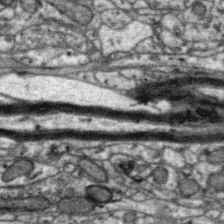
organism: Zebra finch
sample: Brain